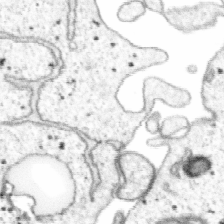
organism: Human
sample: HeLa cells